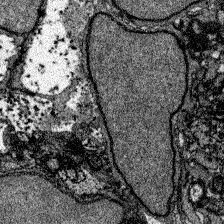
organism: Zebrafish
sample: Larval olfactory bulb